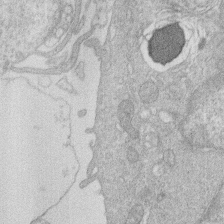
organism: Human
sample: Macrophage cells